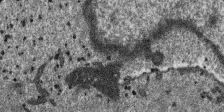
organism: Human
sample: Lung epithelial cells infected with SARS-CoV-2